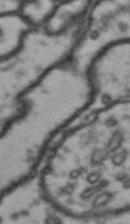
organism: Drosophila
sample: Brain